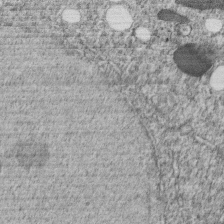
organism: C. elegans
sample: C. elegans embryo early stage